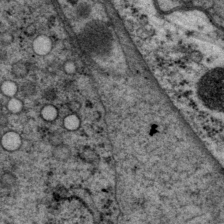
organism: P. pacificus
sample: Pharynx